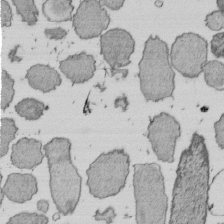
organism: E. coli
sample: Bacterial nucleoid